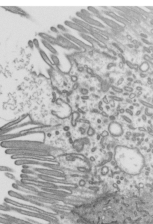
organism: Mouse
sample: Mouse epididymis efferent ductule cilia